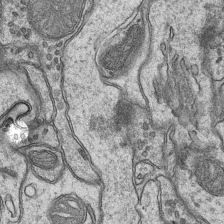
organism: Mouse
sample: CA1 Hippocampus